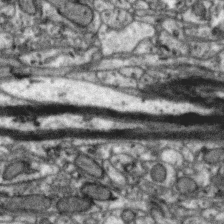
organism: Zebra finch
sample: Brain